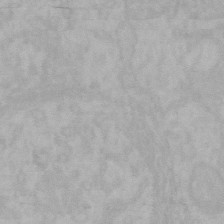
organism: Mouse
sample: Choroid plexus